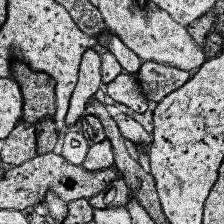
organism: Human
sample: Temporal Lobe